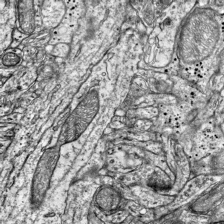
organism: Mouse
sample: Visual Cortex